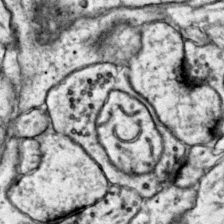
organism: Mouse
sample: Primary visual cortex